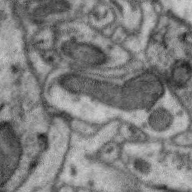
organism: Zebra finch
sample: Brain